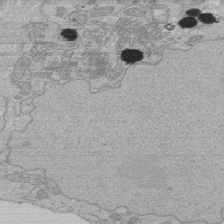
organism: Human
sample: Activated Jurkat CD4+ T cells